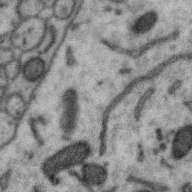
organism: Zebra finch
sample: Brain